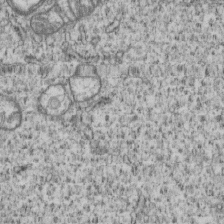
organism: Human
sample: MDA-MB-231 cells